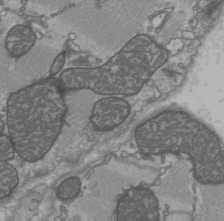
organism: C57BL Mouse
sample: Heart